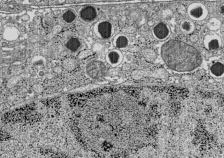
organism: C57BL Mouse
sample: Pancreatic islet